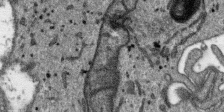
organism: Human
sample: Lung epithelial cells, uninfected (mock) control